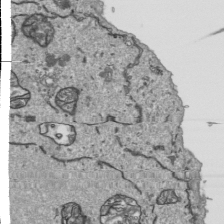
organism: Human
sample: Mitochondria in HCT116 cells